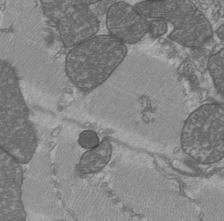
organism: C57BL Mouse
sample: Heart